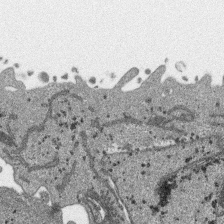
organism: Human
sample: Lung epithelial cells infected with SARS-CoV-2